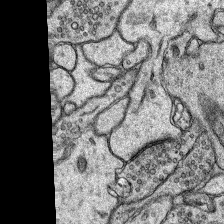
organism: Rat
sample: Hippocampus